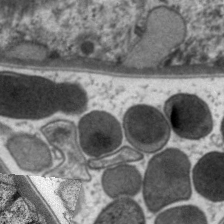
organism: C. elegans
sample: Pharynx